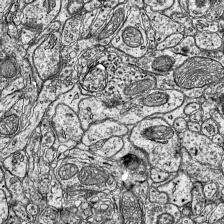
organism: Mouse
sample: Visual Cortex